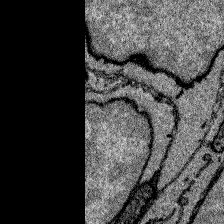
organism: Zebrafish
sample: Larval olfactory bulb